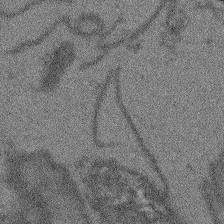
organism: Arabidopsis thaliana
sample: Root tip